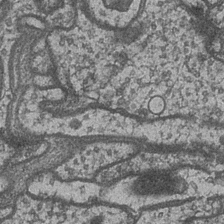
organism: Drosophila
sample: Optic medulla